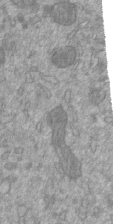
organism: Mouse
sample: ED-1 cell nuclei; centrioles